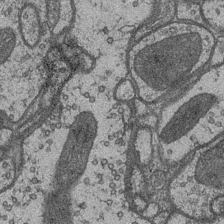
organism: Drosophila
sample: Optic medulla